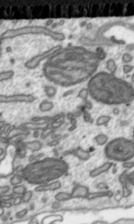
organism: Toxoplasma gondii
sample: Parasites in a vacuole inside a host cell